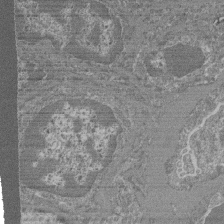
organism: Mouse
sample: Glomerulus